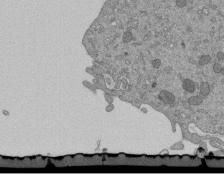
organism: Mouse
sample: ED-1 cell nuclei; centrioles